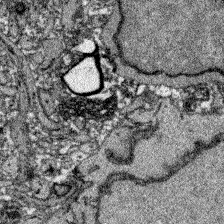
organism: Zebrafish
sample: Larval olfactory bulb